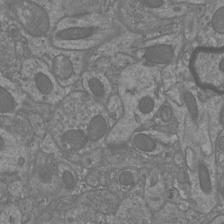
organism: Mouse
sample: Cortical neurons